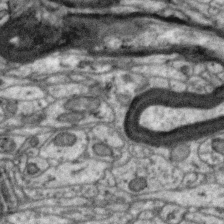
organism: Zebra finch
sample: Brain